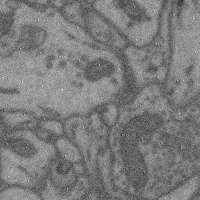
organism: Mouse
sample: Cerebral cortex